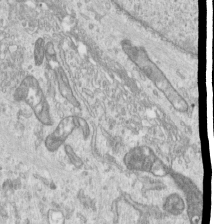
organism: Human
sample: Centriole in RPE cells